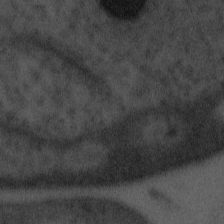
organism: Tuwongella immobilis